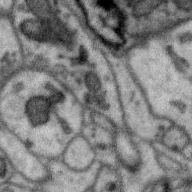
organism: Zebra finch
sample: Brain